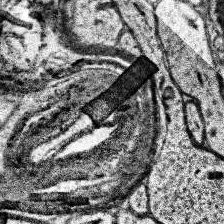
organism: Human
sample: Temporal Lobe